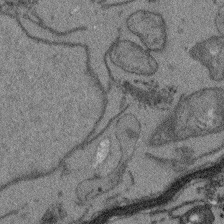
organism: Arabidopsis thaliana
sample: Root tip